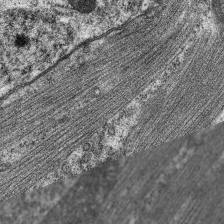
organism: C. elegans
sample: Pharynx